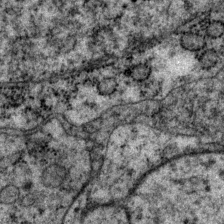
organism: P. pacificus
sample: Pharynx